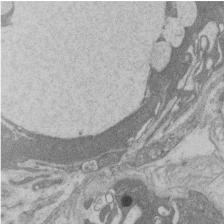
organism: Rat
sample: Salivary granule